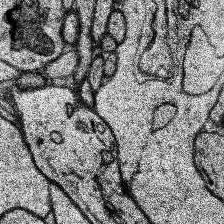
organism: Human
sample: Temporal Lobe